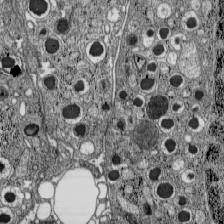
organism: C57BL Mouse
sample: Pancreatic islet